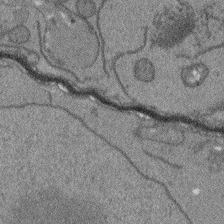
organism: Arabidopsis thaliana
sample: Root tip